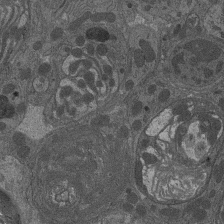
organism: Drosophila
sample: Antenna